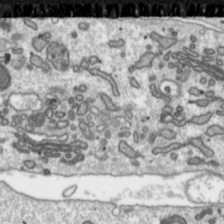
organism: Toxoplasma gondii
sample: Parasites in a vacuole inside a host cell